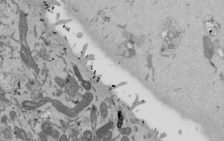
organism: Mouse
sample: ED-1 cell nuclei; centrioles